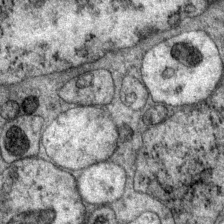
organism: P. pacificus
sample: Pharynx